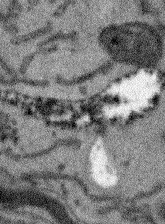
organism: Arabidopsis thaliana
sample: Root tip